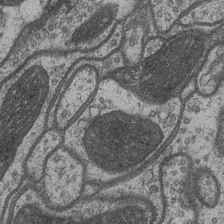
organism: Drosophila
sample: Optic medulla